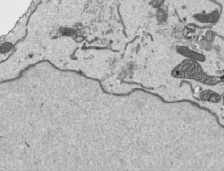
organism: Human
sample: Mitochondria in HCT116 cells